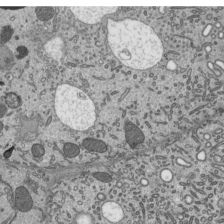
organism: Mouse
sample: Mouse epididymis efferent ductule cilia